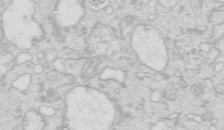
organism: Mouse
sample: Multiciliated cells